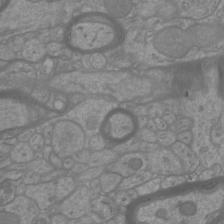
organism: Mouse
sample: Cortical neurons